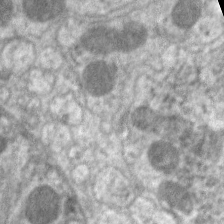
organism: C. elegans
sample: Pharynx